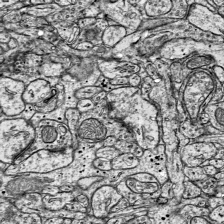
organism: Mouse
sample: Visual Cortex